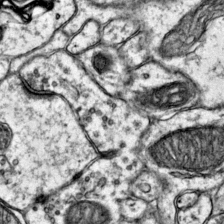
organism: Mouse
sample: Primary visual cortex